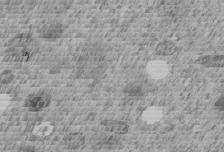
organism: C. elegans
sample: C. elegans embryo early stage